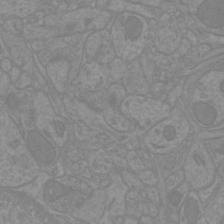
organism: Mouse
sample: Cortical neurons